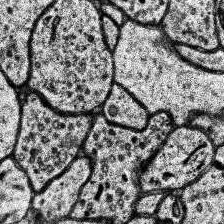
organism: Human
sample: Temporal Lobe